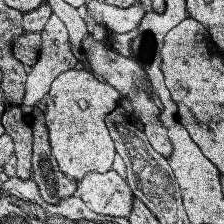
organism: Human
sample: Temporal Lobe